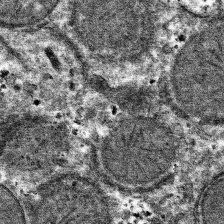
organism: Mouse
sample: Mouse hepatocytes